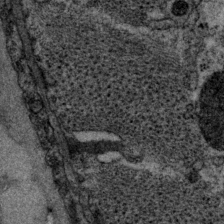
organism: P. pacificus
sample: Pharynx